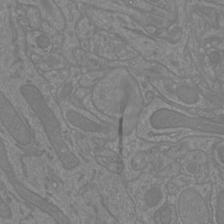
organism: Mouse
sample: Cortical neurons